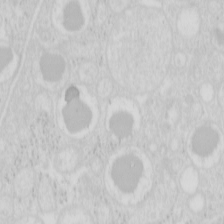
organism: Mouse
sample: Pancreas